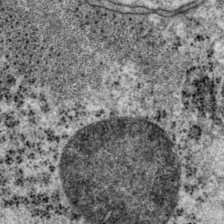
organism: P. pacificus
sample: Pharynx